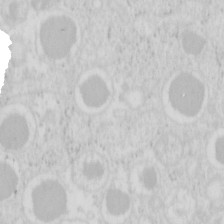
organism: Mouse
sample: Pancreas